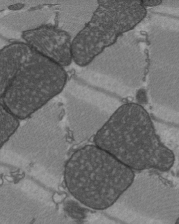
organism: C57BL Mouse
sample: Heart